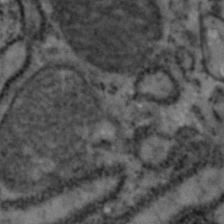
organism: Zebrafish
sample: Zebrafish embryo